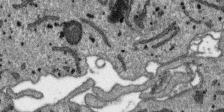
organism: Human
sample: Lung epithelial cells, uninfected (mock) control